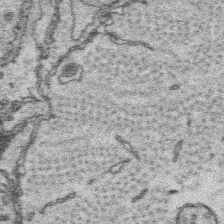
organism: Platynereis dumerilii